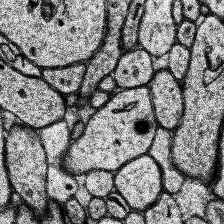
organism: Human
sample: Temporal Lobe